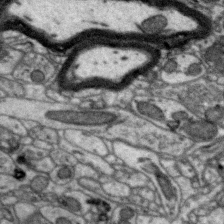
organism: Zebra finch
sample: Brain